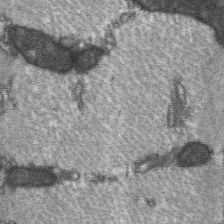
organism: C57BL Mouse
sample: Soleus